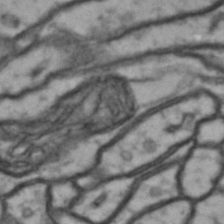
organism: Drosophila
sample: Brain